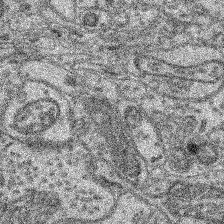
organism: Mouse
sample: Retina